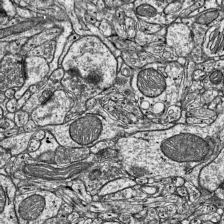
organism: Mouse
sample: Visual Cortex